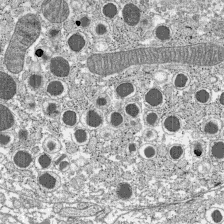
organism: C57BL Mouse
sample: Pancreatic islet